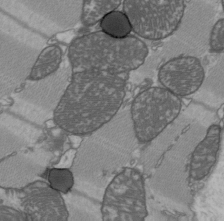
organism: C57BL Mouse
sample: Heart